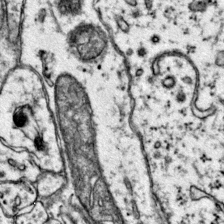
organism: Mouse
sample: Primary visual cortex